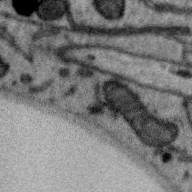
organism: Zebra finch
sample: Brain